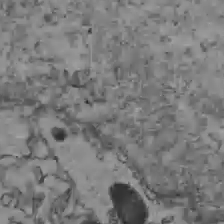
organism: C57BL Mouse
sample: Liver